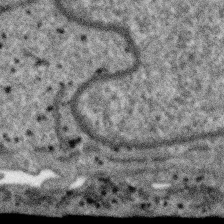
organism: Human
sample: Lung epithelial cells infected with SARS-CoV-2